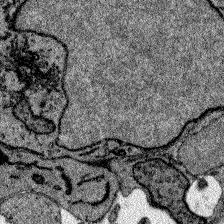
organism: Zebrafish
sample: Larval olfactory bulb